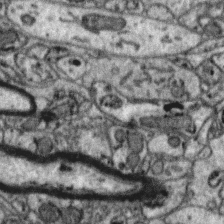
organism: Zebra finch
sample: Brain